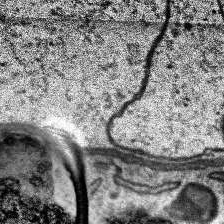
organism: Human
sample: Temporal Lobe